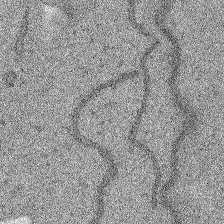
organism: Human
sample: HeLa cells